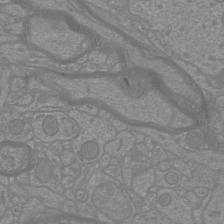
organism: Mouse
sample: Cortical neurons